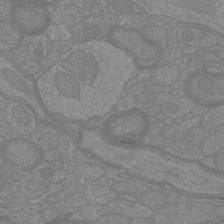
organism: Mouse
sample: Cortical neurons